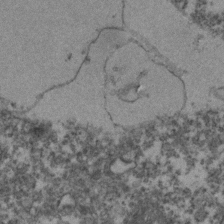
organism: Zebrafish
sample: Zebrafish embryo